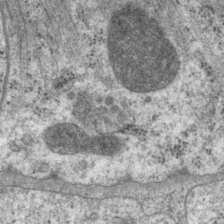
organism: P. pacificus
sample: Pharynx